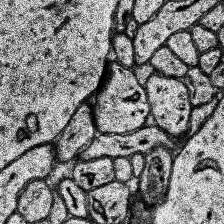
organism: Human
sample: Temporal Lobe